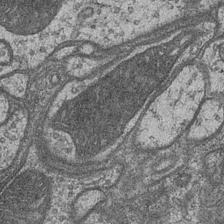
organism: Drosophila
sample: Optic medulla